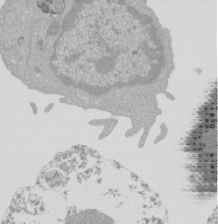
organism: Mouse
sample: Activated Pmel transgenic CD8+ T Cells